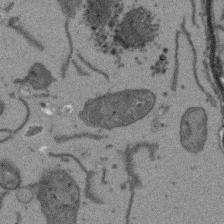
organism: Arabidopsis thaliana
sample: Root tip